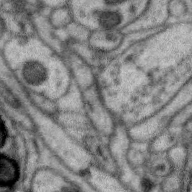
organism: Zebra finch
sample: Brain